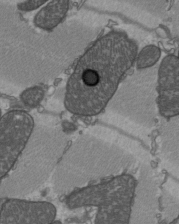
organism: C57BL Mouse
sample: Heart